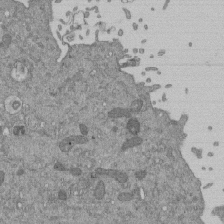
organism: Mouse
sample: ED-1 cell nuclei; centrioles